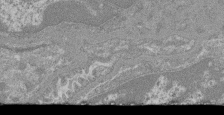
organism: Mouse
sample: Glomerulus